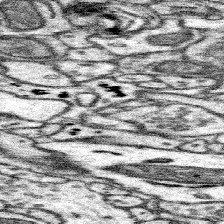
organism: Mouse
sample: Somatosensory cortex neuropil